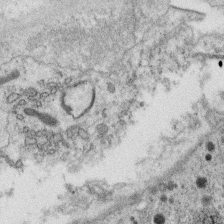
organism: C. elegans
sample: C. elegans oocyte; sperm cells